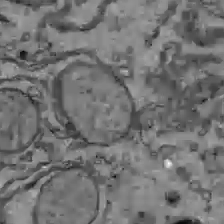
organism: C57BL Mouse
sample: Liver